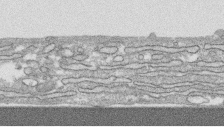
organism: Human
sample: CRL-1474